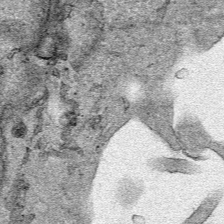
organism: Human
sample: Mitochondria in HCT116 cells